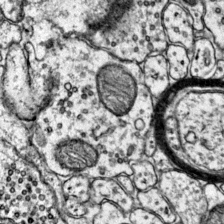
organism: Mouse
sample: Primary visual cortex